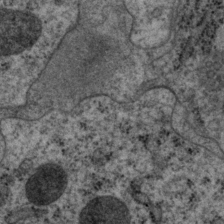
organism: P. pacificus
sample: Pharynx